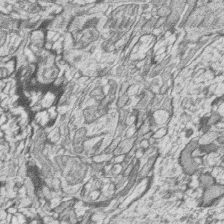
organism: Zebrafish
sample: synaptic ribbons in rod cells and cone cells